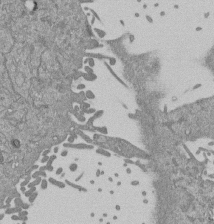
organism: Mouse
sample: ED-1 cell nuclei; centrioles